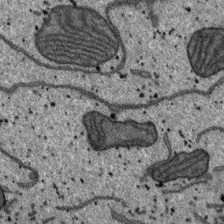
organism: Human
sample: Lung epithelial cells, uninfected (mock) control